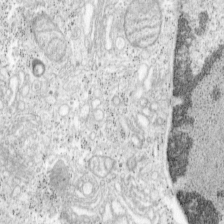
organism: Mouse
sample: OT-I killer T cells with ID8 ovarian cancer cells